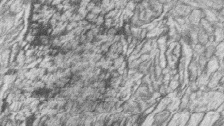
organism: Zebrafish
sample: synaptic ribbons in rod cells and cone cells